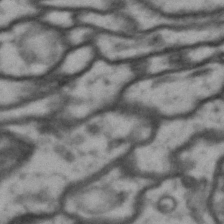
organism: Drosophila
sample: Brain